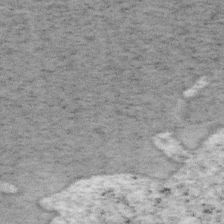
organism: Mouse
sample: OT-I killer T cells with ID8 ovarian cancer cells